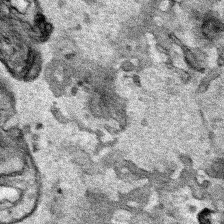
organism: Human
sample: Mitochondria in HCT116 cells